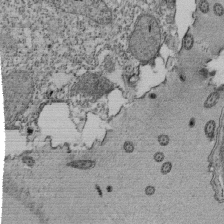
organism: Tetrahymena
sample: Cilia in tetrahymena